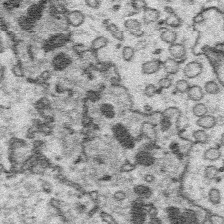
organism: Platynereis dumerilii